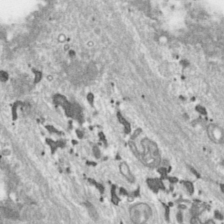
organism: Toxoplasma gondii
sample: Parasites in a vacuole inside a host cell